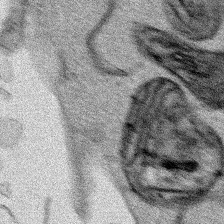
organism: Human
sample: Mitochondria in HCT116 cells